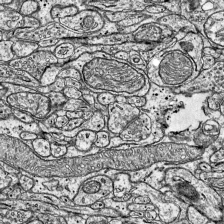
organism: Mouse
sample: Visual Cortex